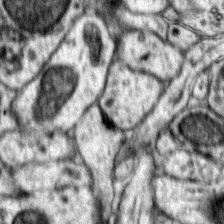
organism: Mouse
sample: Primary visual cortex